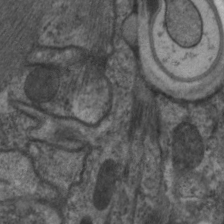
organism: C. elegans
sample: Pharynx